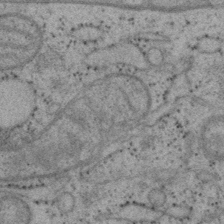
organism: Human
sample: HeLa cells